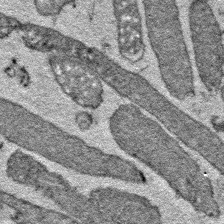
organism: E. coli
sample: E. Coli Bacteria